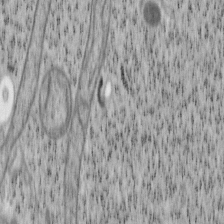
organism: Human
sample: HeLa cells